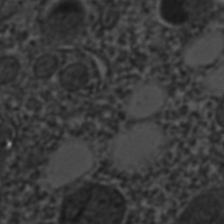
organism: C. elegans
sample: C. elegans embryo